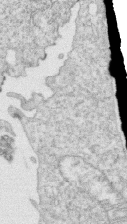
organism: Human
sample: HeLa cell HIV synapse